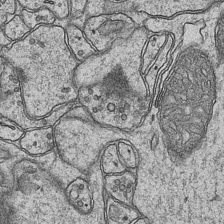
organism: Mouse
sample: CA1 Hippocampus